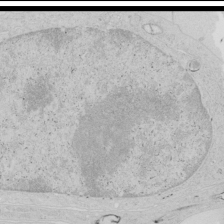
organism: Human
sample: Mitochondria in HCT116 cells